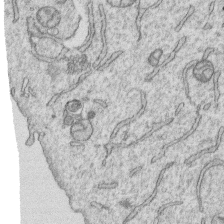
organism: Human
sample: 1205lu cells